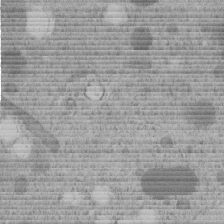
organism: C. elegans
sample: C. elegans embryo early stage